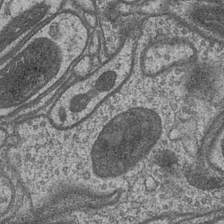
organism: Drosophila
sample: Optic medulla